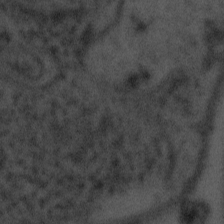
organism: Tuwongella immobilis